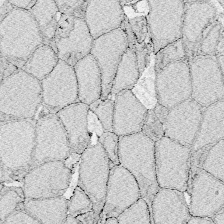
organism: Zebrafish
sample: Whole-Brain